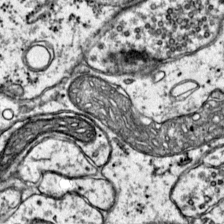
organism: Mouse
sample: Primary visual cortex